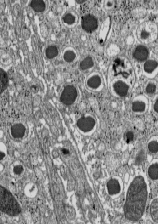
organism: C57BL Mouse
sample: Pancreatic islet